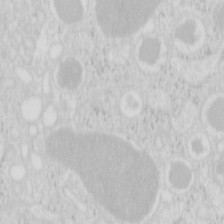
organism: Mouse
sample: Pancreas